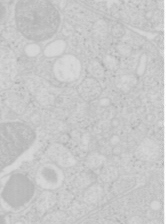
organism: Mouse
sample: Pancreas